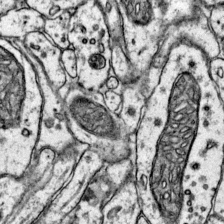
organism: Mouse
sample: Primary visual cortex